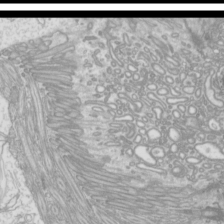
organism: Mouse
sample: Cilia; mouse epididymis